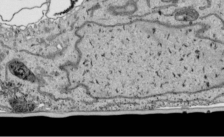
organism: Human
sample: Mitochondria in HCT116 cells